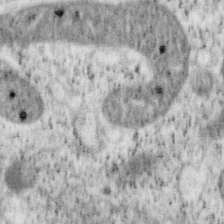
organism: Mouse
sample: OT-I killer T cells with ID8 ovarian cancer cells